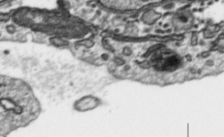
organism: Toxoplasma gondii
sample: Parasites in a vacuole inside a host cell